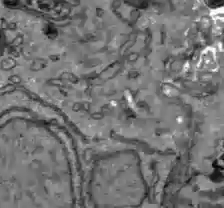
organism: C57BL Mouse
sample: Liver